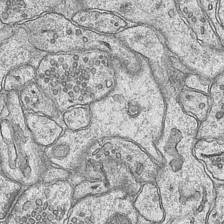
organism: Mouse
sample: CA1 Hippocampus